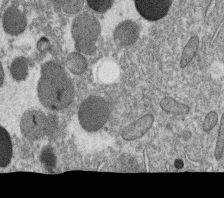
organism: C. elegans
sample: C. elegans oocyte; sperm cells